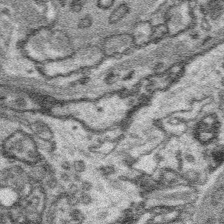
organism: Platynereis dumerilii